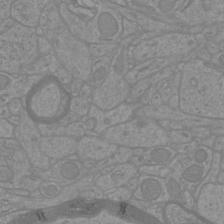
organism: Mouse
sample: Cortical neurons